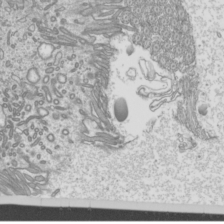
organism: Mouse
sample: Cilia; mouse epididymis